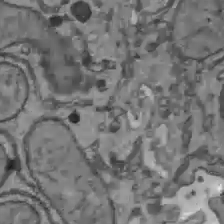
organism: C57BL Mouse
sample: Liver